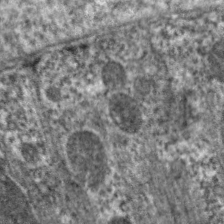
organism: C. elegans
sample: Pharynx